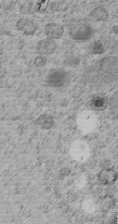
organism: C. elegans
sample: C. elegans embryo early stage